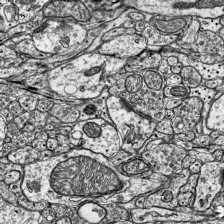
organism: Mouse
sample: Visual Cortex